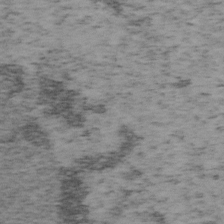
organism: Mouse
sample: OT-I killer T cells with ID8 ovarian cancer cells